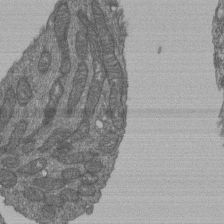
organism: Human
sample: Retinal organoid Rod and Cone cells